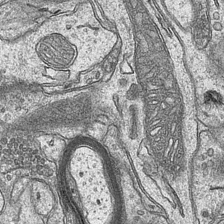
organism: Mouse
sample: CA1 Hippocampus